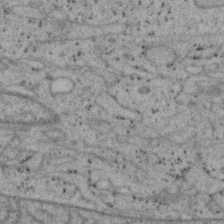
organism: Human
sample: HeLa cells